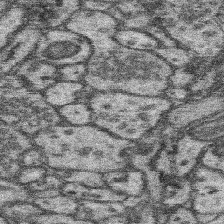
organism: Mouse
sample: Somatosensory cortex neuropil